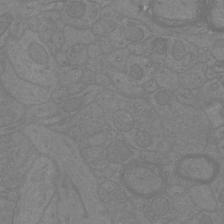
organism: Mouse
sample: Cortical neurons